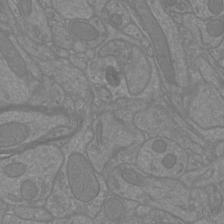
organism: Mouse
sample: Cortical neurons